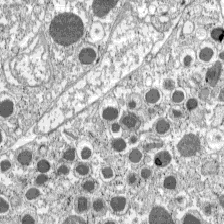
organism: C57BL Mouse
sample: Pancreatic islet